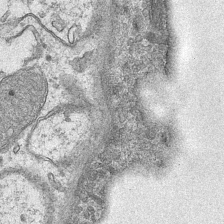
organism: Mouse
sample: CA1 Hippocampus